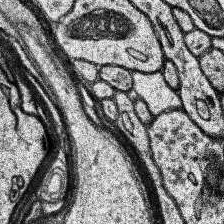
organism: Human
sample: Temporal Lobe